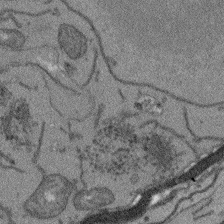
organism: Arabidopsis thaliana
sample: Root tip